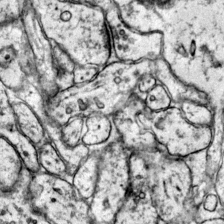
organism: Mouse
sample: Primary visual cortex